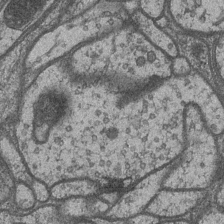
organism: Drosophila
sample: Optic medulla